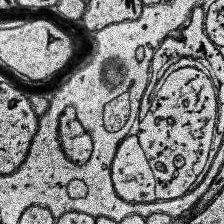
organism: Human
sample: Temporal Lobe